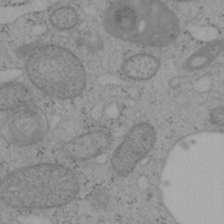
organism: Mouse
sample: OT-I killer T cells with ID8 ovarian cancer cells